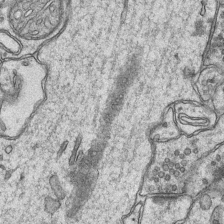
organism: Mouse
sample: CA1 Hippocampus